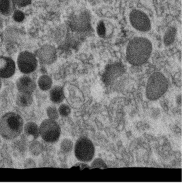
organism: C. elegans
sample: C. elegans oocyte; sperm cells